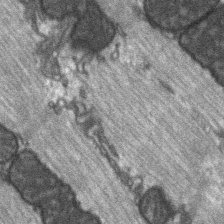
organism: C57BL Mouse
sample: Soleus